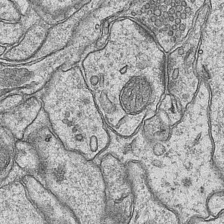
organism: Mouse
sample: CA1 Hippocampus